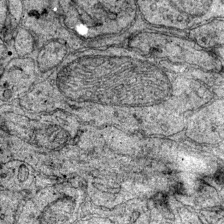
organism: Mouse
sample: Primary visual cortex